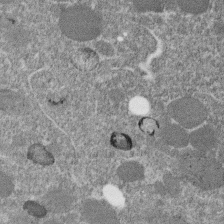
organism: C. elegans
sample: C. elegans embryo early stage